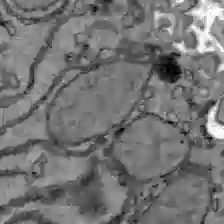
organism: C57BL Mouse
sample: Liver